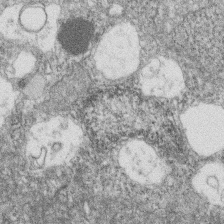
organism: Zebrafish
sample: Cilia; retinal pigment epithelium